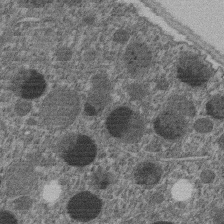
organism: C. elegans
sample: C. elegans embryo early stage